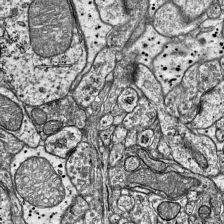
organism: Mouse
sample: Visual Cortex